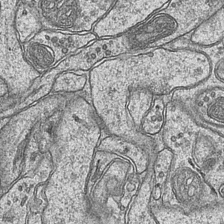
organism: Mouse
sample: CA1 Hippocampus